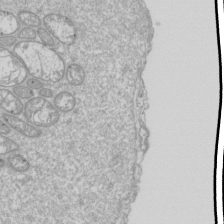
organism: Drosophila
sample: Cell division; meiosis; drosophila spermatocytes